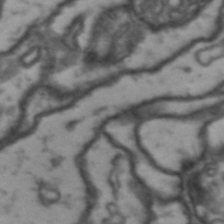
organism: Drosophila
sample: Brain